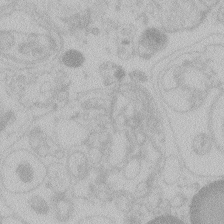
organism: Zebrafish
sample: Macrophage infected with Toxoplasma gondii